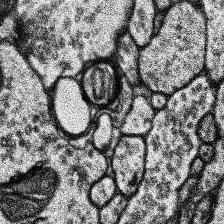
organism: Human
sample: Temporal Lobe